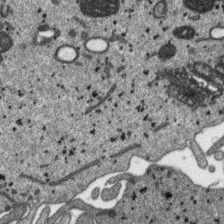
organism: Human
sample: Lung epithelial cells infected with SARS-CoV-2